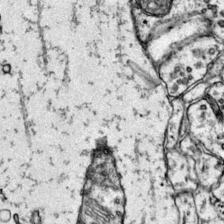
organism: Mouse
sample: Primary visual cortex